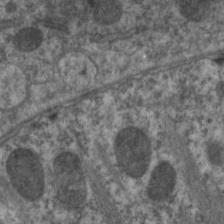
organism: C. elegans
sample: Pharynx